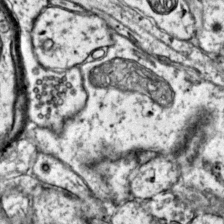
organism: Mouse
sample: Primary visual cortex